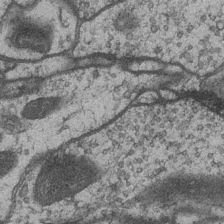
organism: Drosophila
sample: Optic medulla